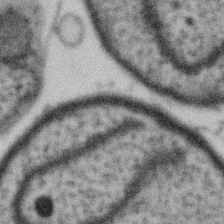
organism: Gemmata obscuriglobus